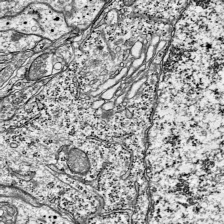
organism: Mouse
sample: Visual Cortex